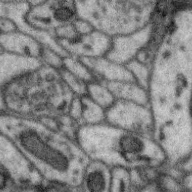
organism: Zebra finch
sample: Brain